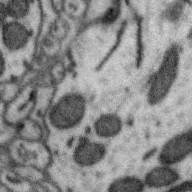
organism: Zebra finch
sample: Brain